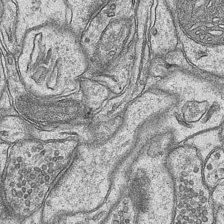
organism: Mouse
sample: CA1 Hippocampus